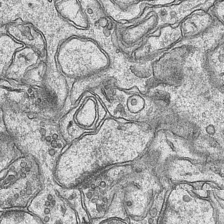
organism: Mouse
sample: CA1 Hippocampus